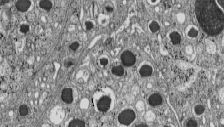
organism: C57BL Mouse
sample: Pancreatic islet